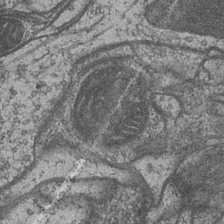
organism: Drosophila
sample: Optic medulla